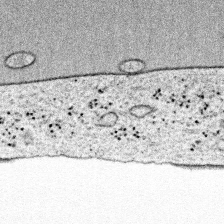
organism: Human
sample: HeLa cells